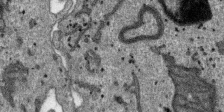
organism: Human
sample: Lung epithelial cells, uninfected (mock) control